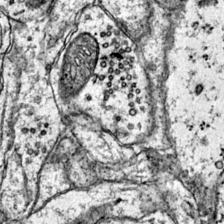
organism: Mouse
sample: Primary visual cortex